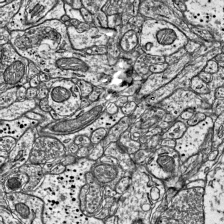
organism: Mouse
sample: Visual Cortex